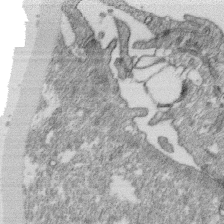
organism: African green monkey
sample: Vero E6 cells infected with SARS-CoV-2